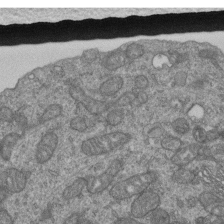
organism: Human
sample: Retinal organoid Rod and Cone cells